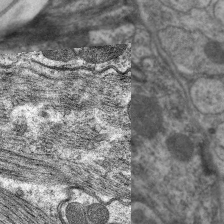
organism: C. elegans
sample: Pharynx